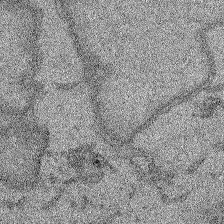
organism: Human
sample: HeLa cells